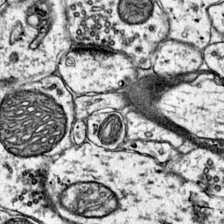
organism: Mouse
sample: Primary visual cortex